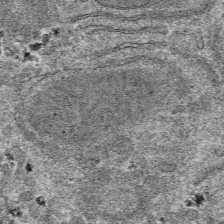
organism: Mouse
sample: Mouse hepatocytes